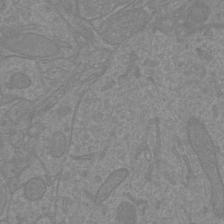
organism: Mouse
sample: Cortical neurons